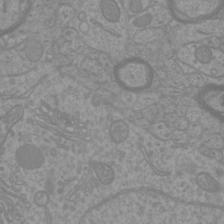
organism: Mouse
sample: Cortical neurons